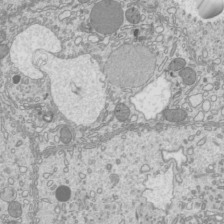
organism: Mouse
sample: Cilia; mouse epididymis